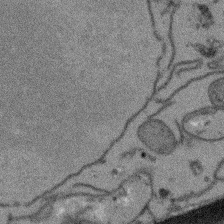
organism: Arabidopsis thaliana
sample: Root tip